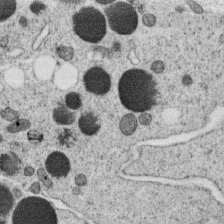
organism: C. elegans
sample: C. elegans oocyte; sperm cells